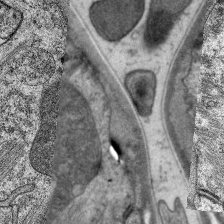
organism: C. elegans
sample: Pharynx